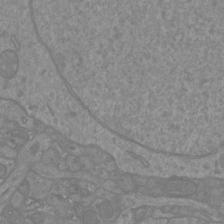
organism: Mouse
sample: Cortical neurons